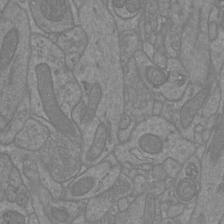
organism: Mouse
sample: Cortical neurons